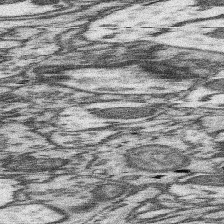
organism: Mouse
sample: Somatosensory cortex neuropil